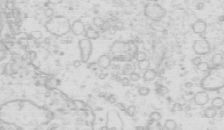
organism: Mouse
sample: Multiciliated cells